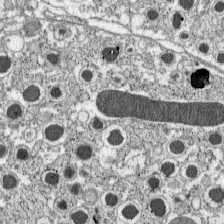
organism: C57BL Mouse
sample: Pancreatic islet